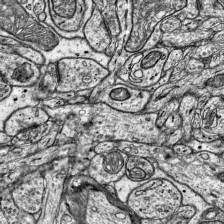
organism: Mouse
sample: Visual Cortex